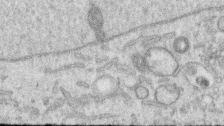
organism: Human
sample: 1205lu cells